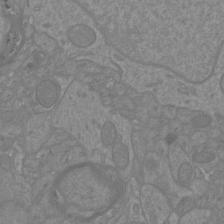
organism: Mouse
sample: Cortical neurons